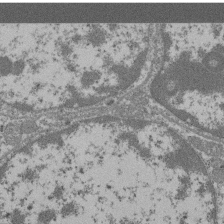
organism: Mouse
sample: Glomerulus